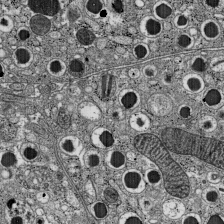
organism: C57BL Mouse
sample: Pancreatic islet